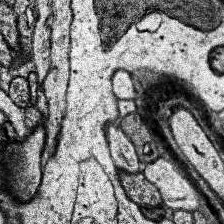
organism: Human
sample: Temporal Lobe